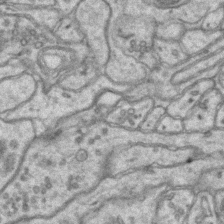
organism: Mouse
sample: CA1 Hippocampus